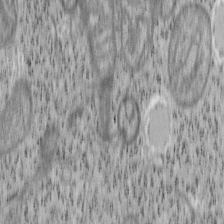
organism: Human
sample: HeLa cells